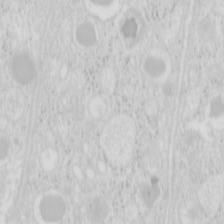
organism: Mouse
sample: Pancreas